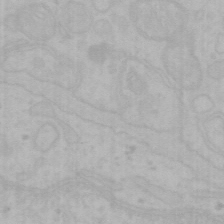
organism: Mouse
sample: Choroid plexus